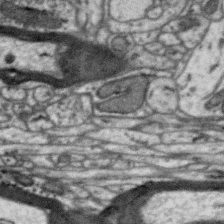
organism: Zebra finch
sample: Brain